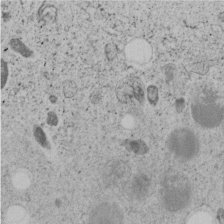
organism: C. elegans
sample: C. elegans embryo early stage